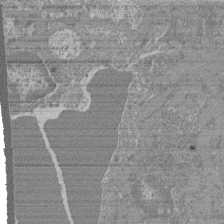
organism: Mouse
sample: Glomerulus